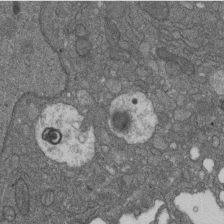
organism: Drosophila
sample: Nephrocyte